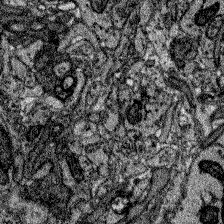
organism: Zebrafish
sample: Larval olfactory bulb